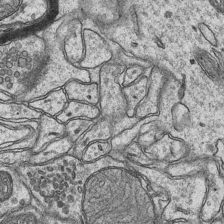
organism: Mouse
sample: CA1 Hippocampus